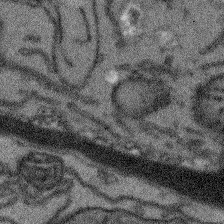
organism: Arabidopsis thaliana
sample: Root tip